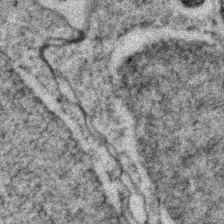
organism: Zebrafish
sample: Zebrafish embryo